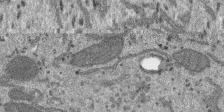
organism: Human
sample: Lung epithelial cells infected with SARS-CoV-2